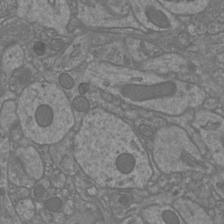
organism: Mouse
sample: Cortical neurons